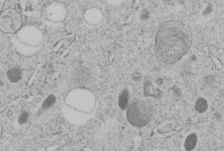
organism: C. elegans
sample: C. elegans embryo early stage